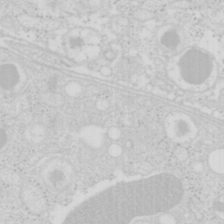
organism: Mouse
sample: Pancreas